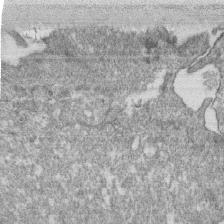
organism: African green monkey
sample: Vero E6 cells infected with SARS-CoV-2